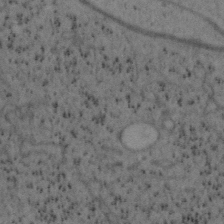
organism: Human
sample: HeLa cells